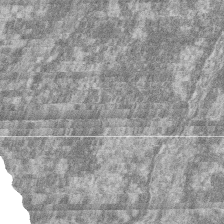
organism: Zebrafish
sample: Cilia; retinal pigment epithelium